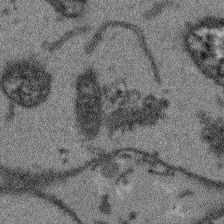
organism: Arabidopsis thaliana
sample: Root tip